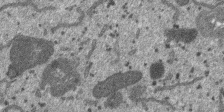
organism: Human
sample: Lung epithelial cells infected with SARS-CoV-2